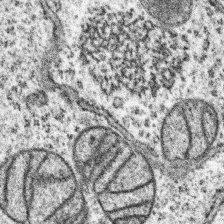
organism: Human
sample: HeLa cells